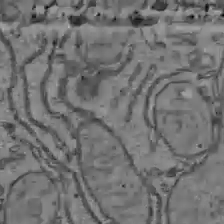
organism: C57BL Mouse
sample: Liver